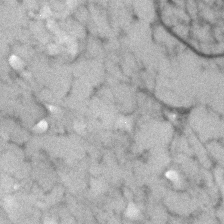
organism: Human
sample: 1205lu cells